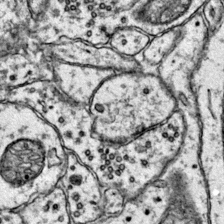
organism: Mouse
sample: Primary visual cortex